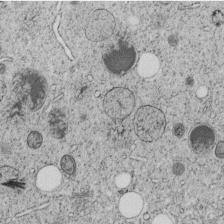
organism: C. elegans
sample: C. elegans embryo early stage